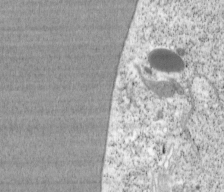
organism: African green monkey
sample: COS-7 cells